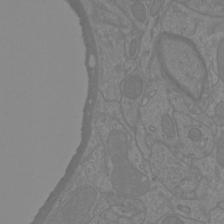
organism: Mouse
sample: Cortical neurons